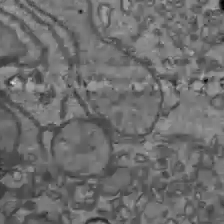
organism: C57BL Mouse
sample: Liver